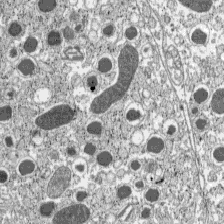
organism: C57BL Mouse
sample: Pancreatic islet